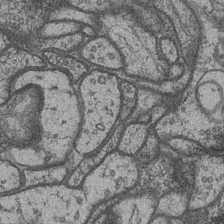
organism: Drosophila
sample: Optic medulla